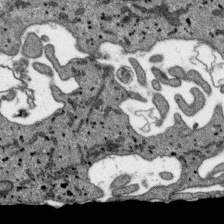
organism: Human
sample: Lung epithelial cells, uninfected (mock) control